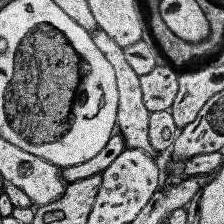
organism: Human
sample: Temporal Lobe